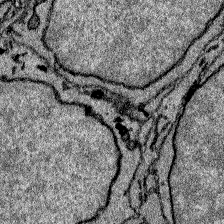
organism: Zebrafish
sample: Larval olfactory bulb